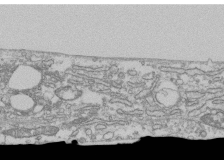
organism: Human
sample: Fibroblast cells